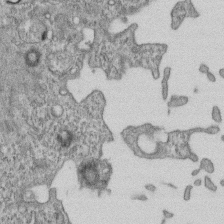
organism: Mouse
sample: Centriole in ependymal cells